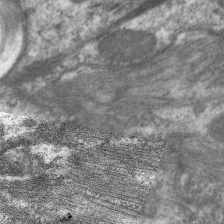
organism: C. elegans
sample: Pharynx